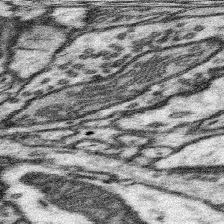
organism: Mouse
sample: Somatosensory cortex neuropil